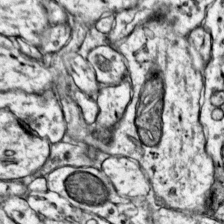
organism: Mouse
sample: Primary visual cortex